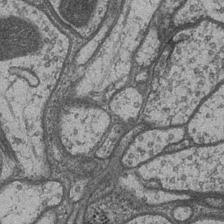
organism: Drosophila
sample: Optic medulla